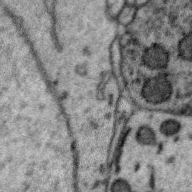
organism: Zebra finch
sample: Brain